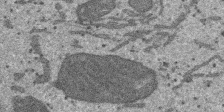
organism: Human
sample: Lung epithelial cells infected with SARS-CoV-2